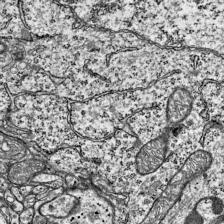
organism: Mouse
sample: Visual Cortex